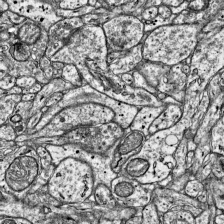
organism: Mouse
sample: Visual Cortex